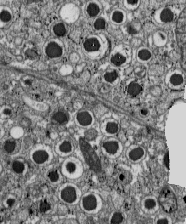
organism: C57BL Mouse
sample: Pancreatic islet